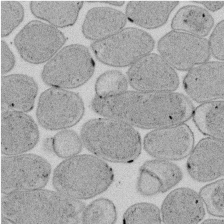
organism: E. coli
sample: Bacterial nucleoid